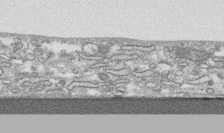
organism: Human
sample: CRL-1474